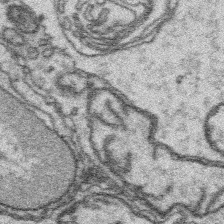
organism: Platynereis dumerilii